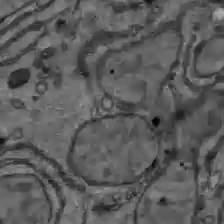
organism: C57BL Mouse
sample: Liver